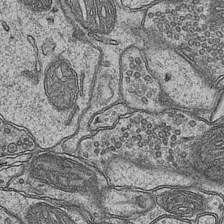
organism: Mouse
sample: CA1 Hippocampus